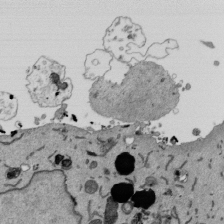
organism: Mouse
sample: ED-1 cell nuclei; centrioles